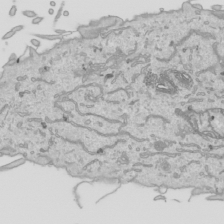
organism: Human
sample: Mitochondria in HCT116 cells